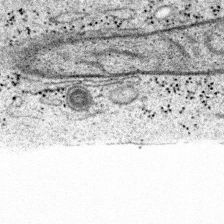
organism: Human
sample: HeLa cells